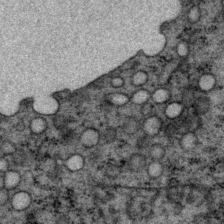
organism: P. pacificus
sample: Pharynx